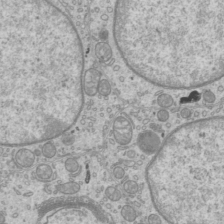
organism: Mouse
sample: Cilia; mouse epididymis